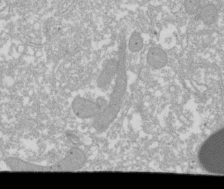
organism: Xenopus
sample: Cilia; centrioles in frog embryo cells